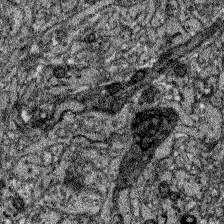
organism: Zebrafish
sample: Larval olfactory bulb